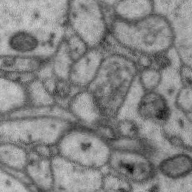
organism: Zebra finch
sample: Brain